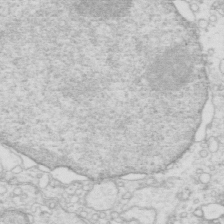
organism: Mouse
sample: Multiciliated cells